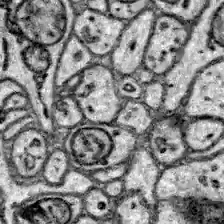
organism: Zebrafish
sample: Brain